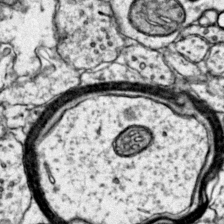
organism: Mouse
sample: Primary visual cortex